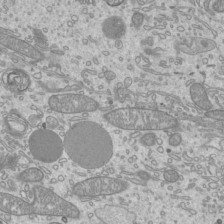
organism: Mouse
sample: Cilia; mouse epididymis